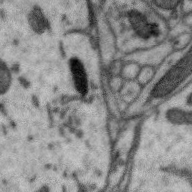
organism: Zebra finch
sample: Brain